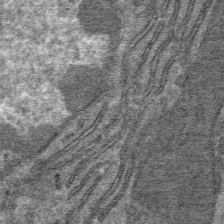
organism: Mouse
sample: Mouse hepatocytes